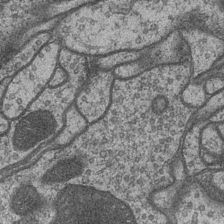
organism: Drosophila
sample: Optic medulla